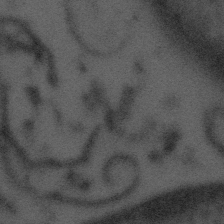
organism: Tuwongella immobilis